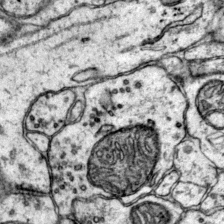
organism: Mouse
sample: Primary visual cortex